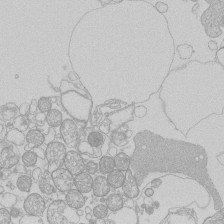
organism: Human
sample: Macrophage cells